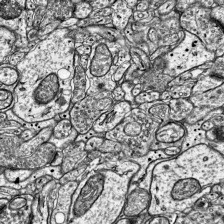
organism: Mouse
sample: Visual Cortex